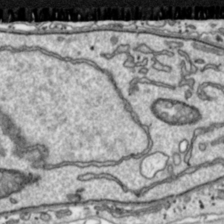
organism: Toxoplasma gondii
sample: Parasites in a vacuole inside a host cell